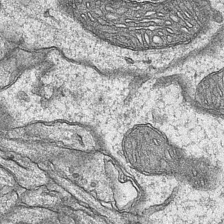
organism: Mouse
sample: CA1 Hippocampus